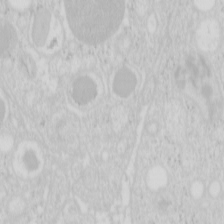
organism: Mouse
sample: Pancreas